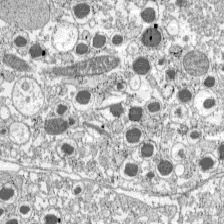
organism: C57BL Mouse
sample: Pancreatic islet